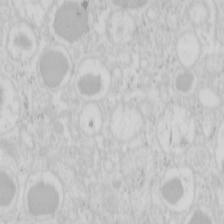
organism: Mouse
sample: Pancreas